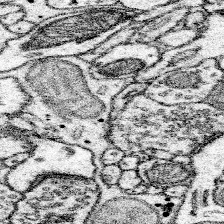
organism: Mouse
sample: Somatosensory cortex neuropil